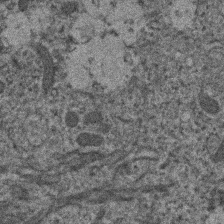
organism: Human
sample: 1205lu cells